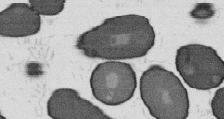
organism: B. subtilis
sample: Bacterial spore